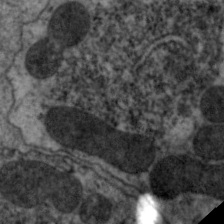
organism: C. elegans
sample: Pharynx